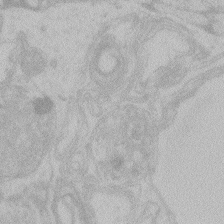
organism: Zebrafish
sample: Macrophage infected with Toxoplasma gondii